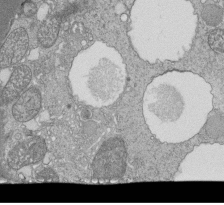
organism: Tetrahymena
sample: Cilia in tetrahymena